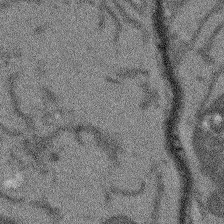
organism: Arabidopsis thaliana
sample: Root tip